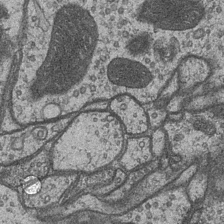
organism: Drosophila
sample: Optic medulla